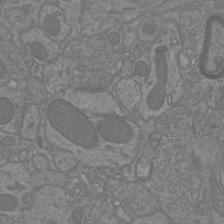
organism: Mouse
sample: Cortical neurons